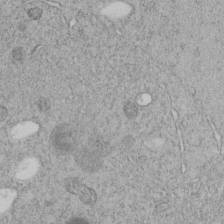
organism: C. elegans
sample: C. elegans embryo early stage